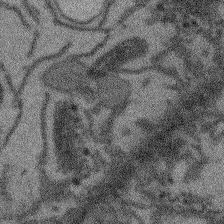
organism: Arabidopsis thaliana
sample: Root tip